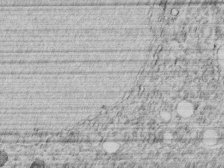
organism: C. elegans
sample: C. elegans embryo early stage